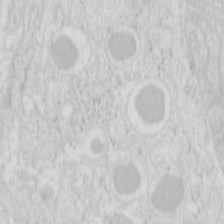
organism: Mouse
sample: Pancreas